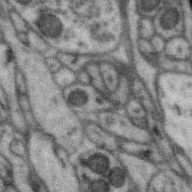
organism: Zebra finch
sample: Brain